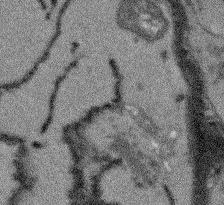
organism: Arabidopsis thaliana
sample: Root tip